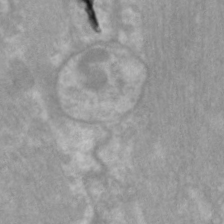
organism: C. elegans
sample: Pharynx